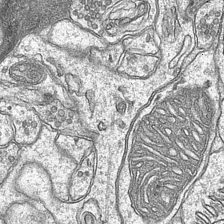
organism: Mouse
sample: CA1 Hippocampus